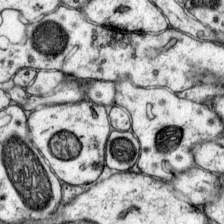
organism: Mouse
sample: Primary visual cortex